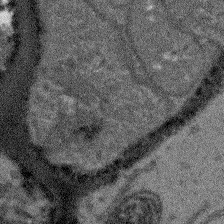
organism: Arabidopsis thaliana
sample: Root tip